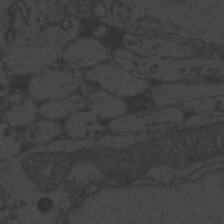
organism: Zebrafish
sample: Macrophage infected with Toxoplasma gondii